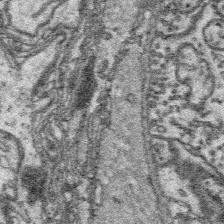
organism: Platynereis dumerilii